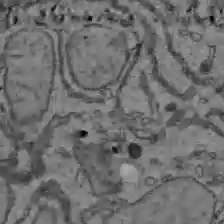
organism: C57BL Mouse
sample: Liver